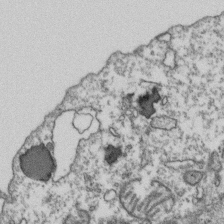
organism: Human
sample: Activated Jurkat CD4+ T cells